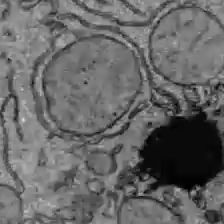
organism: C57BL Mouse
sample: Liver